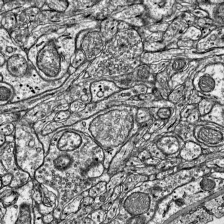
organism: Mouse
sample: Visual Cortex